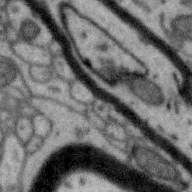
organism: Zebra finch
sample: Brain